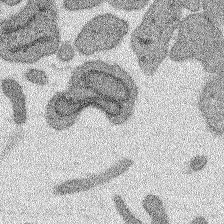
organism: Human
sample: HeLa cells